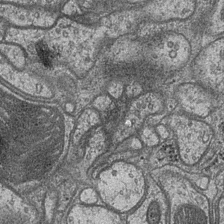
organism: Drosophila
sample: Optic medulla